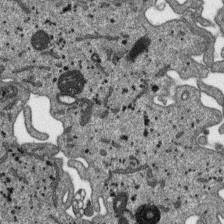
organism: Human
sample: Lung epithelial cells infected with SARS-CoV-2